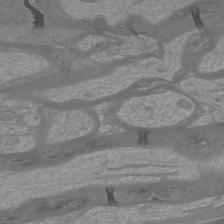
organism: Mouse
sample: Cortical neurons